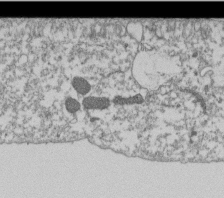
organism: Dictyostelium discoideum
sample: Dictyostelium multivesicular bodies